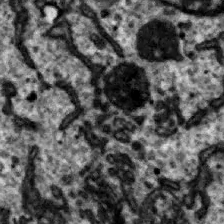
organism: Human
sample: HeLa cells